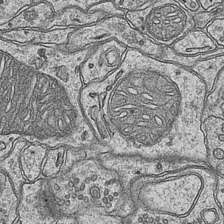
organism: Mouse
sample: CA1 Hippocampus